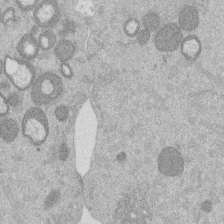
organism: Mouse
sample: Dividing mouse embryo 1 cell stage